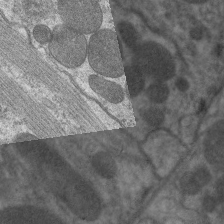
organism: C. elegans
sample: Pharynx